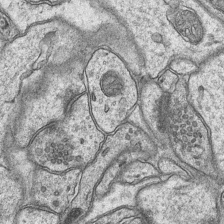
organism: Mouse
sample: CA1 Hippocampus